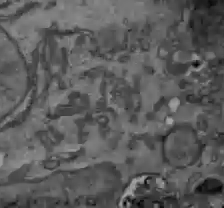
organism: C57BL Mouse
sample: Liver